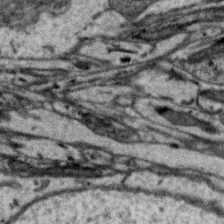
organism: Zebra finch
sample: Brain